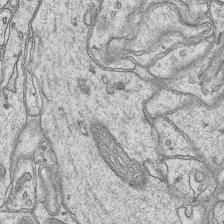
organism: Mouse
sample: CA1 Hippocampus